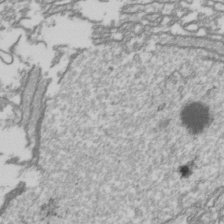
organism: Drosophila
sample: Cell division; meiosis; drosophila spermatocytes